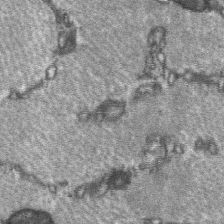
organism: C57BL Mouse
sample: Soleus